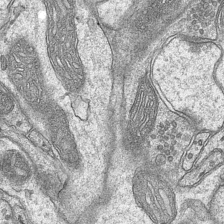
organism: Mouse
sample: CA1 Hippocampus